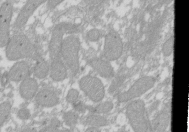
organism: Xenopus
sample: Cilia; centrioles in frog embryo cells